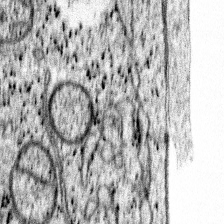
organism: Human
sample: HeLa cells